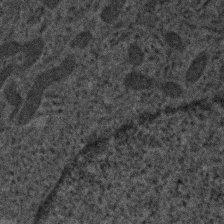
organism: Human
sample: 1205lu cells